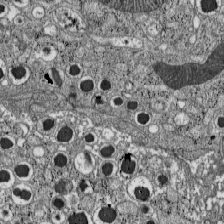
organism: C57BL Mouse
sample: Pancreatic islet